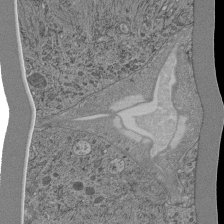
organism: C. elegans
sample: C. elegans pharynx